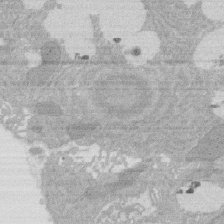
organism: Rat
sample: Salivary granule